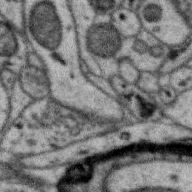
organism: Zebra finch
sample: Brain